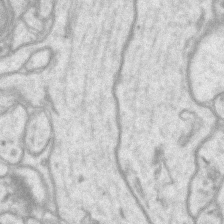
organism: Mouse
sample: CA1 Hippocampus